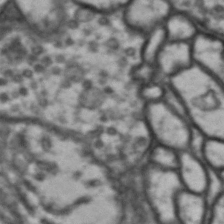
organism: Drosophila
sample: Brain